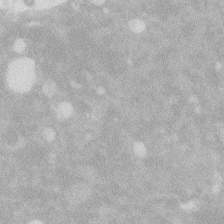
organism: Zebrafish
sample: Macrophage